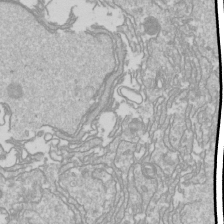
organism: Drosophila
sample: Cell division; meiosis; drosophila spermatocytes